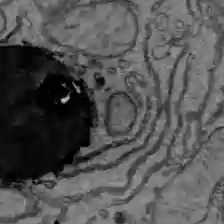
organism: C57BL Mouse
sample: Liver